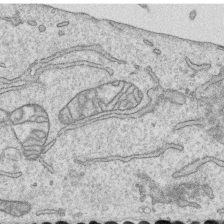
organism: Human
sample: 1205lu cells